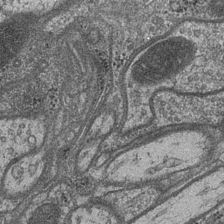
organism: Drosophila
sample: Optic medulla